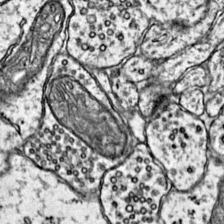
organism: Mouse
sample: Primary visual cortex